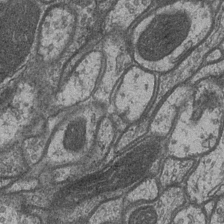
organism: Drosophila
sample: Optic medulla